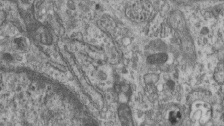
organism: Mouse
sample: Centriole in ependymal cells